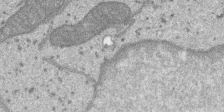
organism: Human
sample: Lung epithelial cells infected with SARS-CoV-2